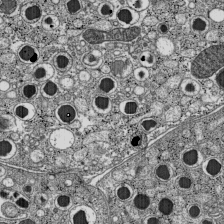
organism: C57BL Mouse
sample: Pancreatic islet